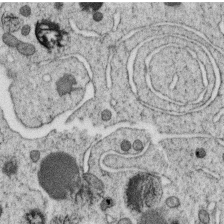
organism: C. elegans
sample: C. elegans oocyte; sperm cells